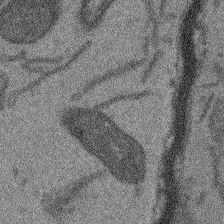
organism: Arabidopsis thaliana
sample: Root tip